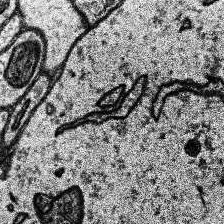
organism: Human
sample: Temporal Lobe